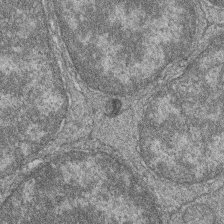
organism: Zebrafish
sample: Cilia; retinal pigment epithelium